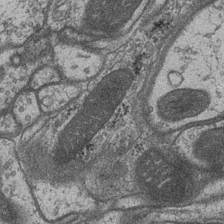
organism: Drosophila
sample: Optic medulla